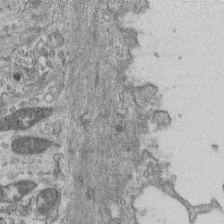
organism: Mouse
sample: Centriole in ependymal cells